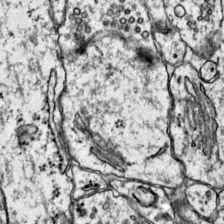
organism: Mouse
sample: Primary visual cortex